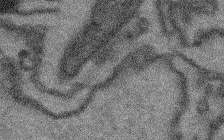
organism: Arabidopsis thaliana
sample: Root tip